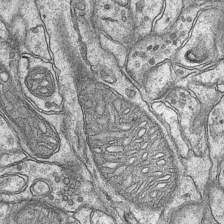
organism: Mouse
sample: CA1 Hippocampus